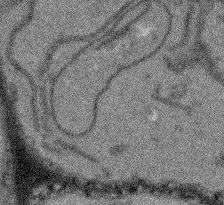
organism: Arabidopsis thaliana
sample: Root tip